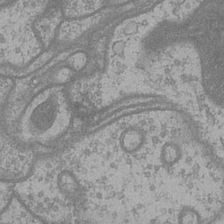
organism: Drosophila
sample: Optic medulla